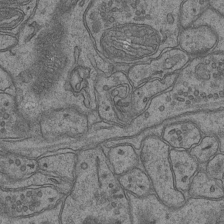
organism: Mouse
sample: CA1 Hippocampus